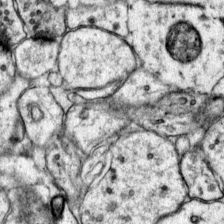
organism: Mouse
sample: Primary visual cortex